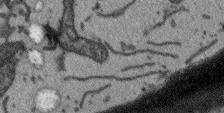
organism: Arabidopsis thaliana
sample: Root tip